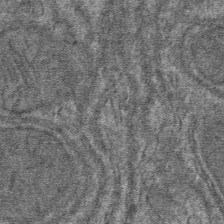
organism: Mouse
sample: Mouse hepatocytes